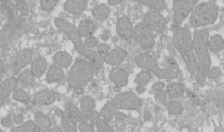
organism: Xenopus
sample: Cilia; centrioles in frog embryo cells